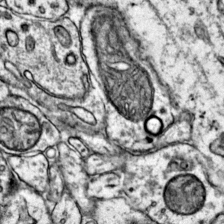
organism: Mouse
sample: Primary visual cortex